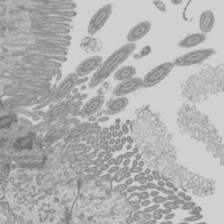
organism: Mouse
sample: Cilia; mouse epididymis